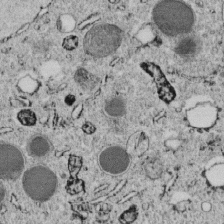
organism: C. elegans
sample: C. elegans embryo early stage